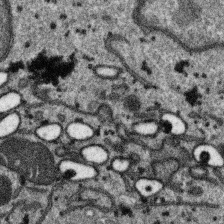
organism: Human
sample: Lung epithelial cells infected with SARS-CoV-2